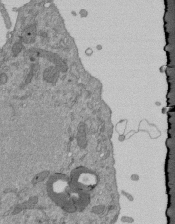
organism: Mouse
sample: ED-1 cell nuclei; centrioles